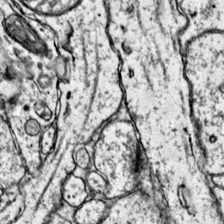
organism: Mouse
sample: Primary visual cortex